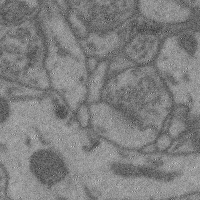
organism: Mouse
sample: Cerebral cortex